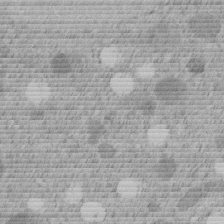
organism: C. elegans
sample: C. elegans embryo early stage